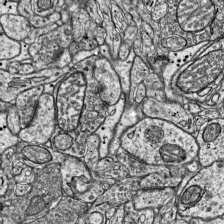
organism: Mouse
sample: Visual Cortex